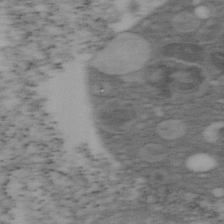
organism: Mouse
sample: OT-I killer T cells with ID8 ovarian cancer cells